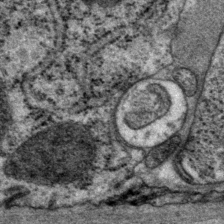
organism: P. pacificus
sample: Pharynx